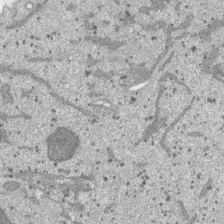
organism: Human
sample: Lung epithelial cells infected with SARS-CoV-2